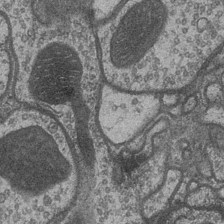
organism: Drosophila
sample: Optic medulla